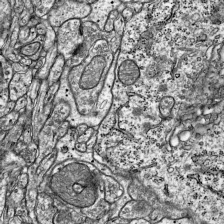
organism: Mouse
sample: Visual Cortex